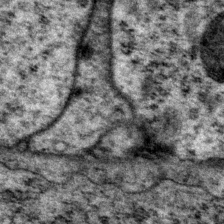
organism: P. pacificus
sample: Pharynx